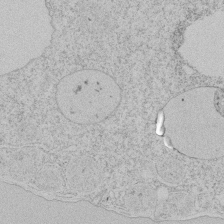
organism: Tetrahymena